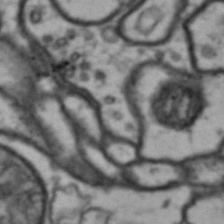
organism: Drosophila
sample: Brain